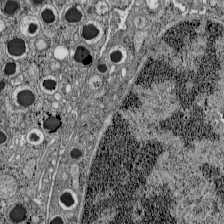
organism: C57BL Mouse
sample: Pancreatic islet